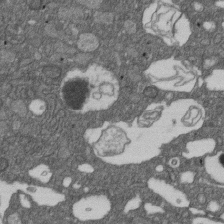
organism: Drosophila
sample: Nephrocyte